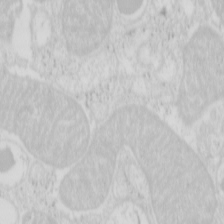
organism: Mouse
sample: Pancreas